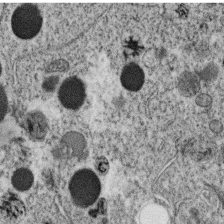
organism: C. elegans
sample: C. elegans oocyte; sperm cells